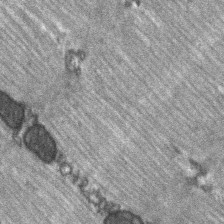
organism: C57BL Mouse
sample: Soleus